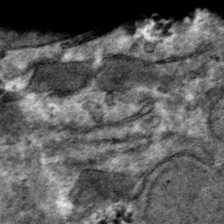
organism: Mouse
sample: Mouse hepatocytes